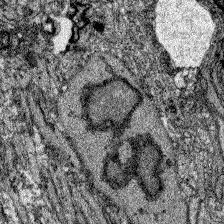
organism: Zebrafish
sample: Larval olfactory bulb